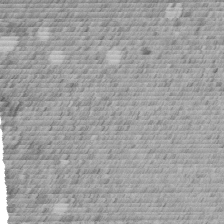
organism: C. elegans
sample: C. elegans embryo early stage